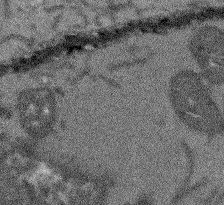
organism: Arabidopsis thaliana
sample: Root tip